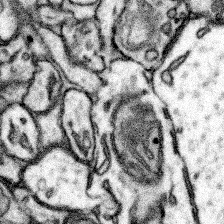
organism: Mouse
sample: Somatosensory cortex neuropil